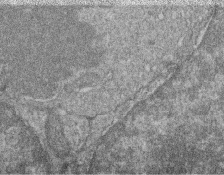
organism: Zebrafish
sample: Cilia; retinal pigment epithelium